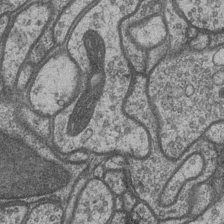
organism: Drosophila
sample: Optic medulla